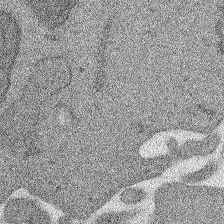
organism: Human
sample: HeLa cells